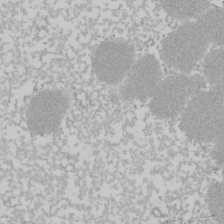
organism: Mouse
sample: Cancer cell death in ED-1 cells